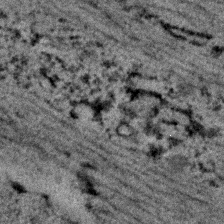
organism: C. elegans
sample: C. elegans embryo